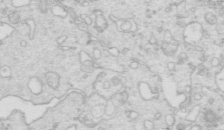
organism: Mouse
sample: Multiciliated cells